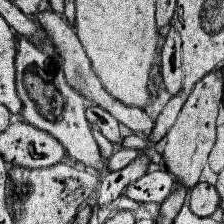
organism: Human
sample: Temporal Lobe